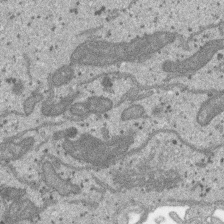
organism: Human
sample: Lung epithelial cells infected with SARS-CoV-2